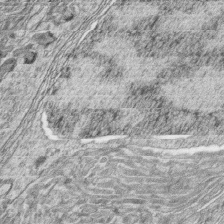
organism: Zebrafish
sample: synaptic ribbons in rod cells and cone cells